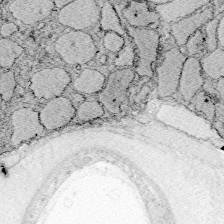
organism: Zebrafish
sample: Whole-Brain